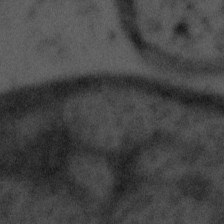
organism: Tuwongella immobilis